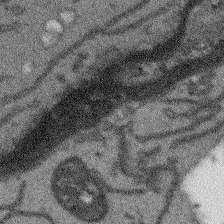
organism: Arabidopsis thaliana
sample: Root tip